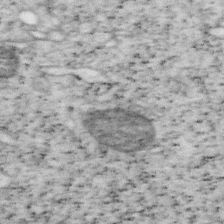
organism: Mouse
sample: OT-I killer T cells with ID8 ovarian cancer cells